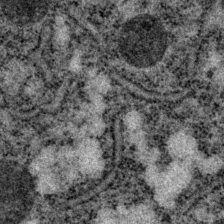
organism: P. pacificus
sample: Pharynx